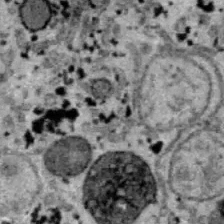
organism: Mouse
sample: Liver from an obese (ob/ob) mouse